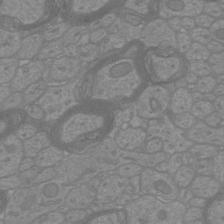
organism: Mouse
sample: Cortical neurons